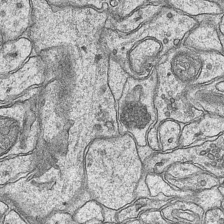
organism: Mouse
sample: CA1 Hippocampus